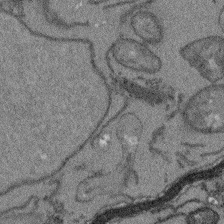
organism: Arabidopsis thaliana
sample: Root tip